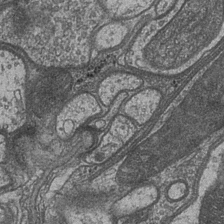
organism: Drosophila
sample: Optic medulla